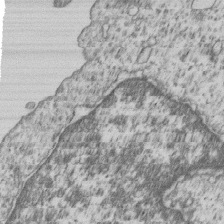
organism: Human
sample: MDA-MB-231 cells